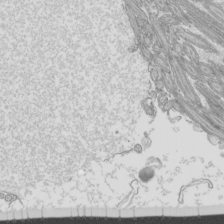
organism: Mouse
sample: Cilia; mouse epididymis